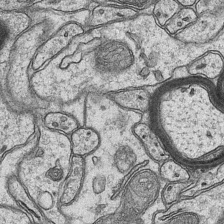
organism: Mouse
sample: CA1 Hippocampus